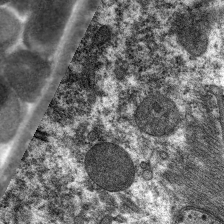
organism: C. elegans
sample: Pharynx